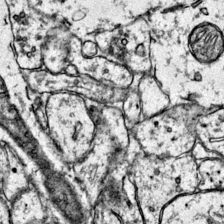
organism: Mouse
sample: Primary visual cortex